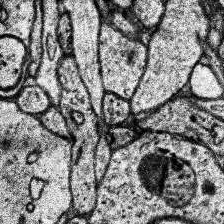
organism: Human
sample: Temporal Lobe